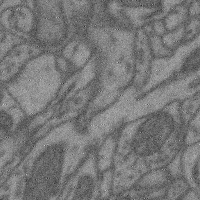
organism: Mouse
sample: Cerebral cortex